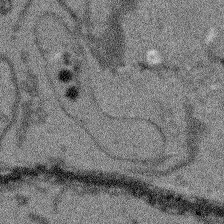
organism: Arabidopsis thaliana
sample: Root tip